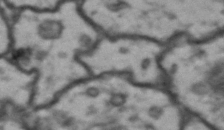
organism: Drosophila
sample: Brain